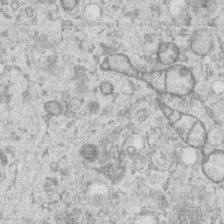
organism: Human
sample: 1205lu cells